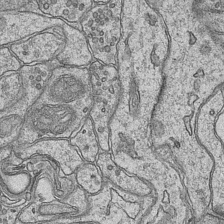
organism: Mouse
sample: CA1 Hippocampus